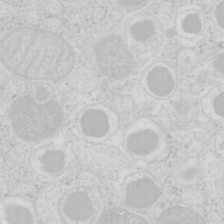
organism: Mouse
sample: Pancreas